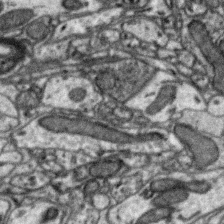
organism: Zebra finch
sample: Brain